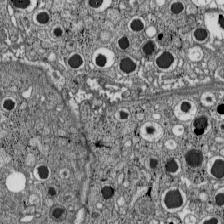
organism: C57BL Mouse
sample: Pancreatic islet